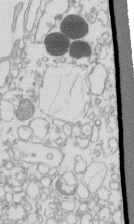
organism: Mouse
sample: Macrophages